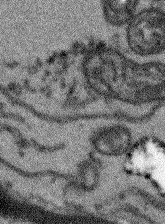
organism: Arabidopsis thaliana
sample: Root tip